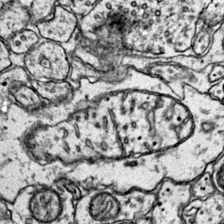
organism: Mouse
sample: Primary visual cortex